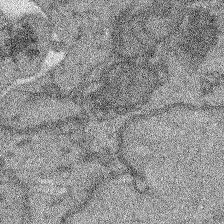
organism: Human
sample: HeLa cells